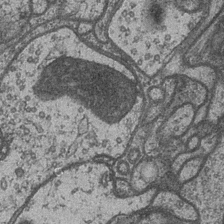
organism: Drosophila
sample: Optic medulla